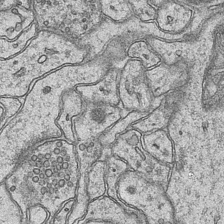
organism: Mouse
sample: CA1 Hippocampus